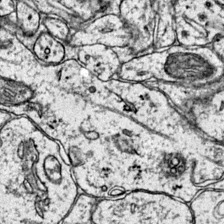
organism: Mouse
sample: Primary visual cortex